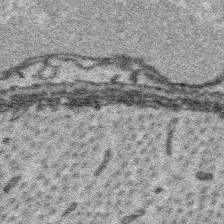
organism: Platynereis dumerilii